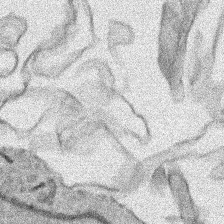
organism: Human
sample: Mitochondria in HCT116 cells